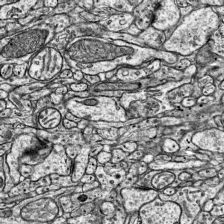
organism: Mouse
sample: Visual Cortex